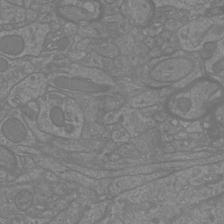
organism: Mouse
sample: Cortical neurons